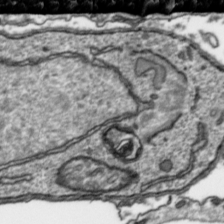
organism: Toxoplasma gondii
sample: Parasites in a vacuole inside a host cell